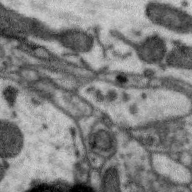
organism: Zebra finch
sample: Brain